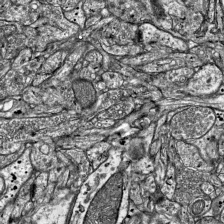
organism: Mouse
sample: Visual Cortex